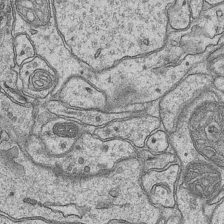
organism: Mouse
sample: CA1 Hippocampus